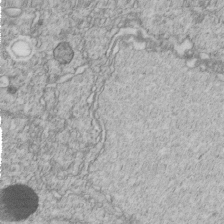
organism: C. elegans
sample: C. elegans embryo early stage